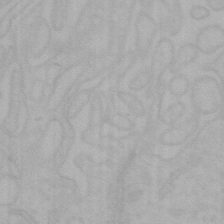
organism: Mouse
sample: Choroid plexus